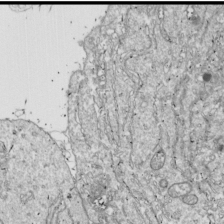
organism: Drosophila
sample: Cell division; meiosis; drosophila spermatocytes